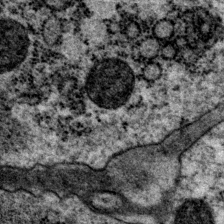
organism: P. pacificus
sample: Pharynx